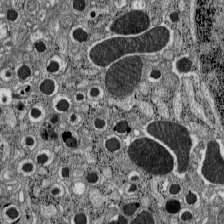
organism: C57BL Mouse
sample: Pancreatic islet